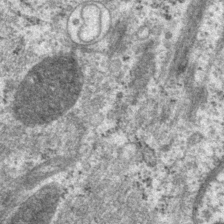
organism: P. pacificus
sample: Pharynx